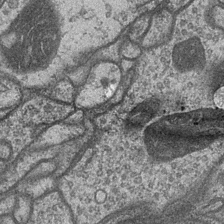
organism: Drosophila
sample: Optic medulla